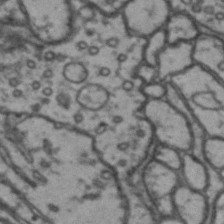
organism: Drosophila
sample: Brain